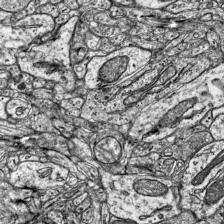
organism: Mouse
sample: Visual Cortex